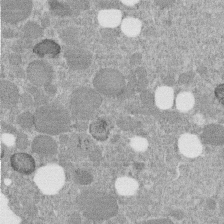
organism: C. elegans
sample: C. elegans embryo early stage